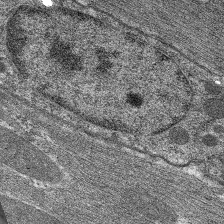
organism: C. elegans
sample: Pharynx